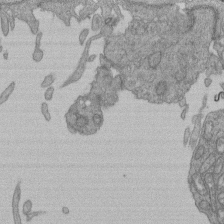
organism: Human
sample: Retinal organoid Rod and Cone cells